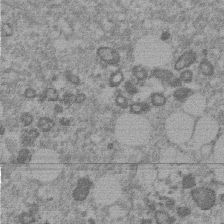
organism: Mouse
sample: Dividing mouse embryo 1 cell stage